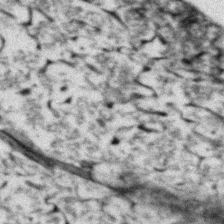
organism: Zebrafish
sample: Zebrafish embryo